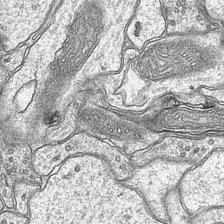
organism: Mouse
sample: CA1 Hippocampus